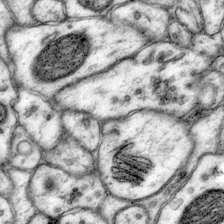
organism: Mouse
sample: Primary visual cortex